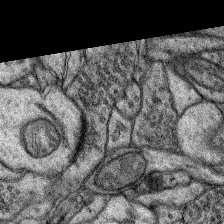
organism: Rat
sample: Hippocampus